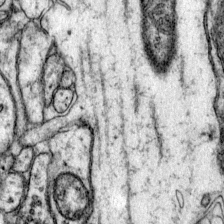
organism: Mouse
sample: Primary visual cortex